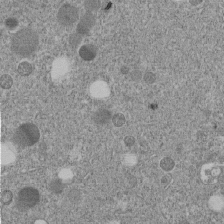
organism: C. elegans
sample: C. elegans embryo early stage